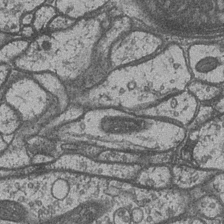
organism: Drosophila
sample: Optic medulla